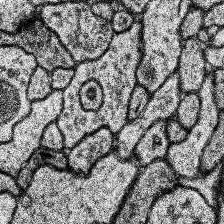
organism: Human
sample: Temporal Lobe